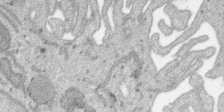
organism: Human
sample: Lung epithelial cells infected with SARS-CoV-2